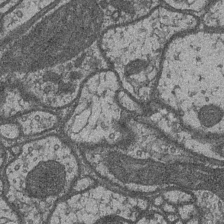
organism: Drosophila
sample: Optic medulla